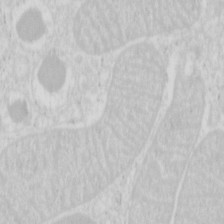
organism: Mouse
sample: Pancreas